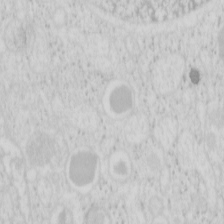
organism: Mouse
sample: Pancreas